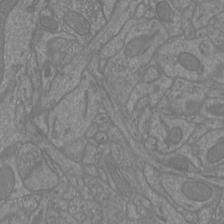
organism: Mouse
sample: Cortical neurons